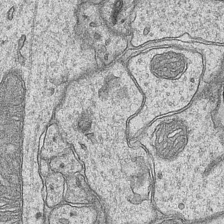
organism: Mouse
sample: CA1 Hippocampus